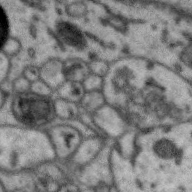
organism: Zebra finch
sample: Brain